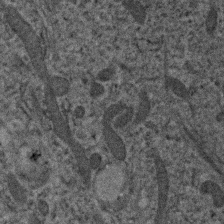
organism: Human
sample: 1205lu cells